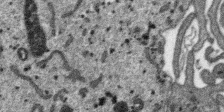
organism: Human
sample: Lung epithelial cells infected with SARS-CoV-2